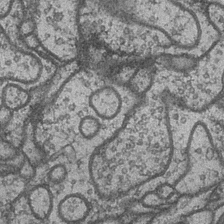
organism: Drosophila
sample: Optic medulla